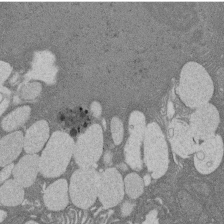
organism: Rat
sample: Salivary granule